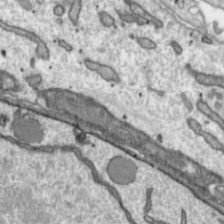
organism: Toxoplasma gondii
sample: Parasites in a vacuole inside a host cell